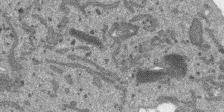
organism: Human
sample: Lung epithelial cells infected with SARS-CoV-2